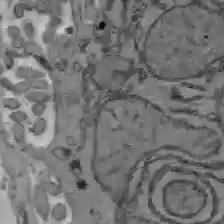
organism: C57BL Mouse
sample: Liver